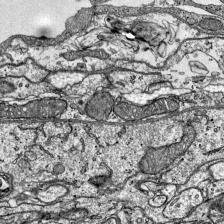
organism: Mouse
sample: Visual Cortex